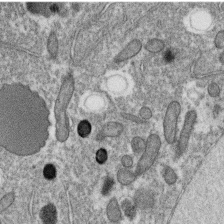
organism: C. elegans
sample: C. elegans oocyte; sperm cells